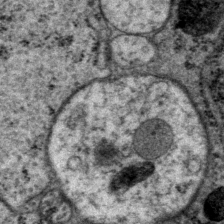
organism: P. pacificus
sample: Pharynx